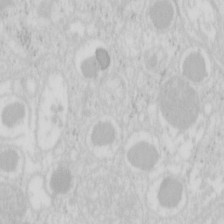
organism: Mouse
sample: Pancreas